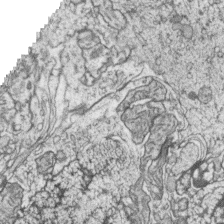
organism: Zebrafish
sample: synaptic ribbons in rod cells and cone cells